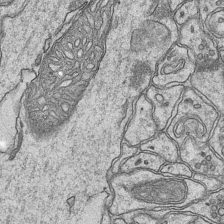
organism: Mouse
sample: CA1 Hippocampus